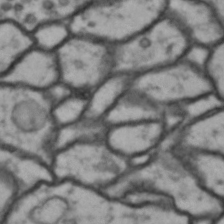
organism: Drosophila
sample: Brain